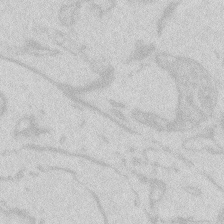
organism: Zebrafish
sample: Macrophage